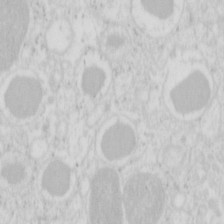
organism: Mouse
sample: Pancreas